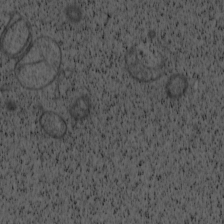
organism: African green monkey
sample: COS-7 cells